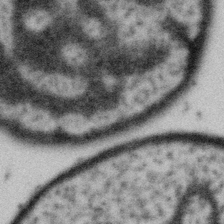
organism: Gemmata obscuriglobus